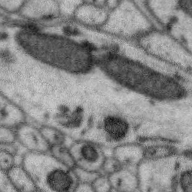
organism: Zebra finch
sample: Brain